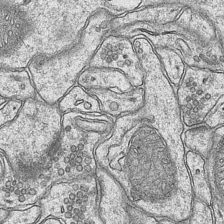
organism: Mouse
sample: CA1 Hippocampus